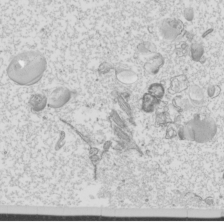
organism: Mouse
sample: Cilia; mouse epididymis